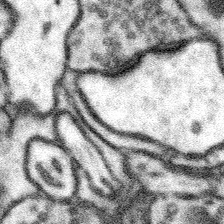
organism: Mouse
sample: Somatosensory cortex neuropil